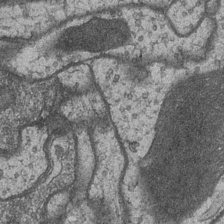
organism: Drosophila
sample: Optic medulla